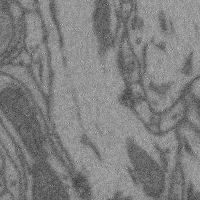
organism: Mouse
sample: Cerebral cortex